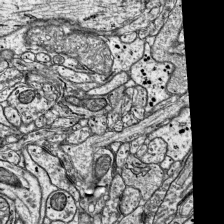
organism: Mouse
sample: Visual Cortex